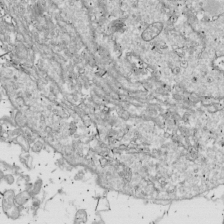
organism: Drosophila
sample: Cell division; meiosis; drosophila spermatocytes